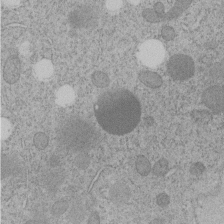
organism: C. elegans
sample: C. elegans embryo early stage